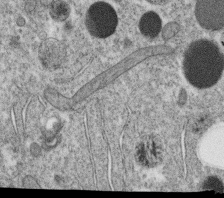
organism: C. elegans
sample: C. elegans oocyte; sperm cells